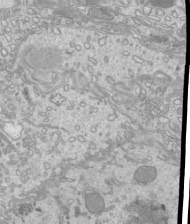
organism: Mouse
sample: Cilia; mouse epididymis